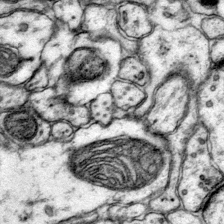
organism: Mouse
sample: Primary visual cortex